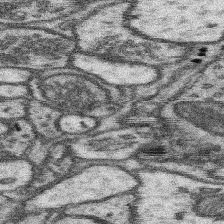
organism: Mouse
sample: Somatosensory cortex neuropil